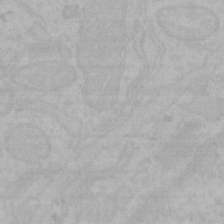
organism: Mouse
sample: Choroid plexus